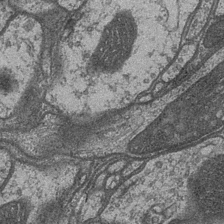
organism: Drosophila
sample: Optic medulla